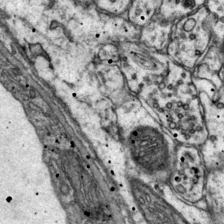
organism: Mouse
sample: Primary visual cortex